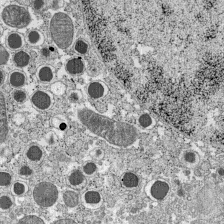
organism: C57BL Mouse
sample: Pancreatic islet